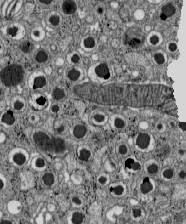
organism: C57BL Mouse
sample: Pancreatic islet